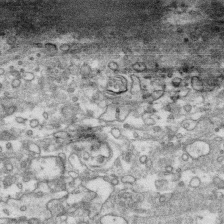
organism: Human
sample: CRL-1474